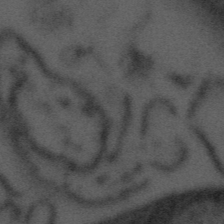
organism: Tuwongella immobilis